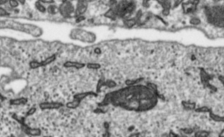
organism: Toxoplasma gondii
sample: Parasites in a vacuole inside a host cell